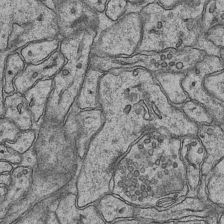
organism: Mouse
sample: CA1 Hippocampus